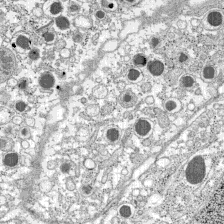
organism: C57BL Mouse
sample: Pancreatic islet